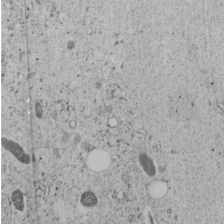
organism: C. elegans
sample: C. elegans embryo early stage